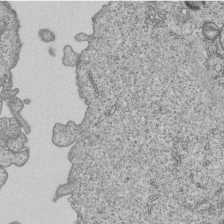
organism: Human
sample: MDA-MB-231 cells